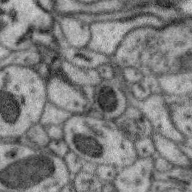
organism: Zebra finch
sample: Brain